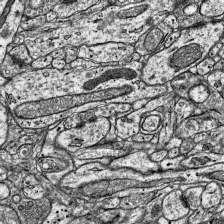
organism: Mouse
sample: Visual Cortex